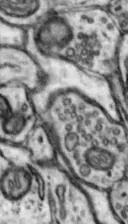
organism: Mouse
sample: Nucleus accumbens